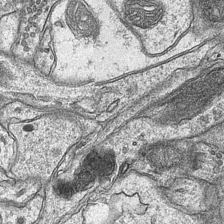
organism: Mouse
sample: CA1 Hippocampus